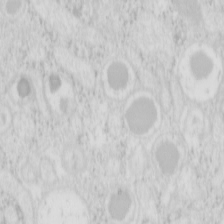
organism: Mouse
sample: Pancreas